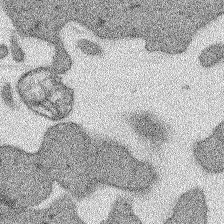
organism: Human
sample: HeLa cells